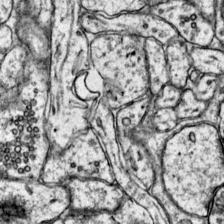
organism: Mouse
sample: Primary visual cortex